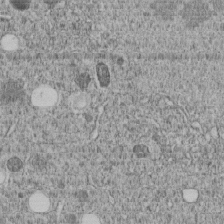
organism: C. elegans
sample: C. elegans embryo early stage